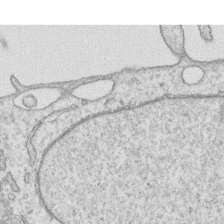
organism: Human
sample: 1205lu cells